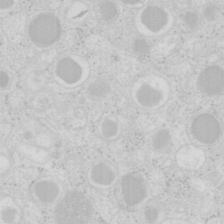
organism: Mouse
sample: Pancreas